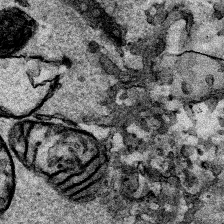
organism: Human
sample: Mitochondria in HCT116 cells